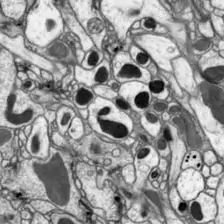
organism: Drosophila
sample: Optic lobe